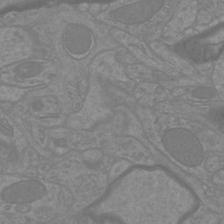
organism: Mouse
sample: Cortical neurons